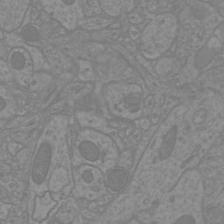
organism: Mouse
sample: Cortical neurons